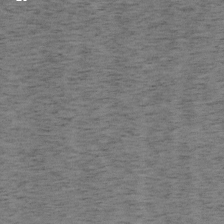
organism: Mouse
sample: OT-I killer T cells with ID8 ovarian cancer cells